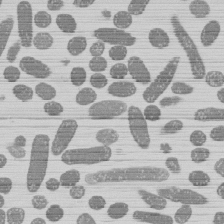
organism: E. coli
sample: Bacterial nucleoid